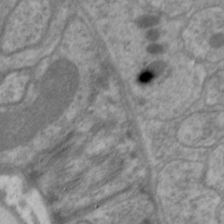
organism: C. elegans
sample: Pharynx